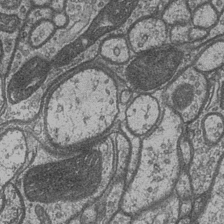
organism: Drosophila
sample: Optic medulla